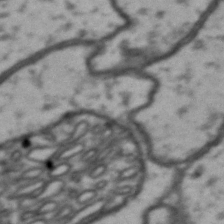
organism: Drosophila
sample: Brain